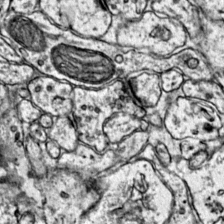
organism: Mouse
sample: Primary visual cortex